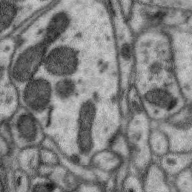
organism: Zebra finch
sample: Brain